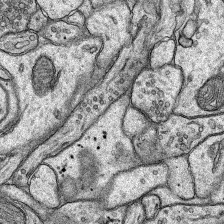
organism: Rat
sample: Hippocampus